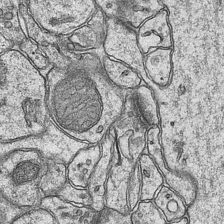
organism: Mouse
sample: CA1 Hippocampus